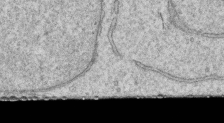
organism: Human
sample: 1205lu cells